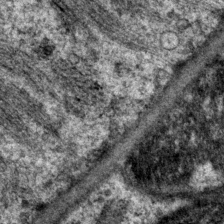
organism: P. pacificus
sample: Pharynx